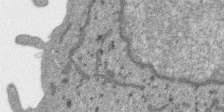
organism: Human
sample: Lung epithelial cells infected with SARS-CoV-2